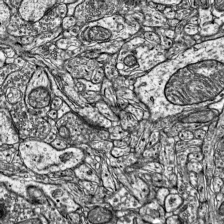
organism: Mouse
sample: Visual Cortex